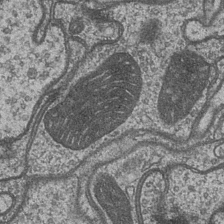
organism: Drosophila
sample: Optic medulla